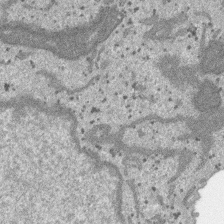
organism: Human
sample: Lung epithelial cells infected with SARS-CoV-2